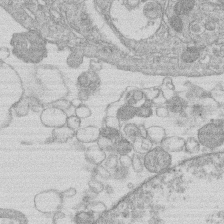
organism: Human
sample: Macrophage cells